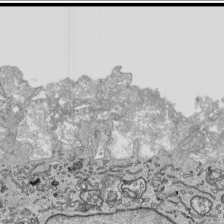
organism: Human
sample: Mitochondria in HCT116 cells